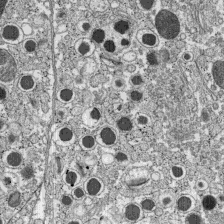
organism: C57BL Mouse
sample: Pancreatic islet